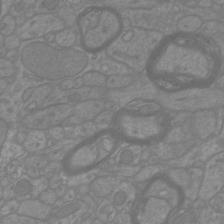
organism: Mouse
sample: Cortical neurons